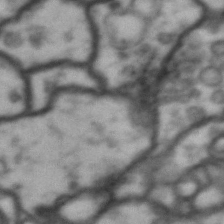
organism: Drosophila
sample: Brain